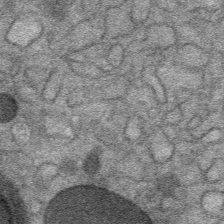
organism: Mouse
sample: Mouse Salivary gland